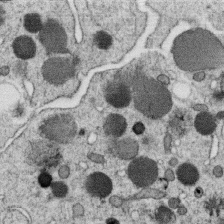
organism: C. elegans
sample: C. elegans oocyte; sperm cells